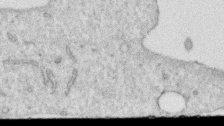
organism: Human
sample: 1205lu cells